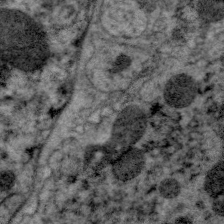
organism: C. elegans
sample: Pharynx